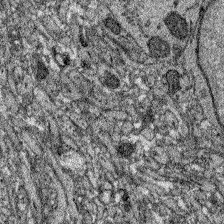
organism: Zebrafish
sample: Larval olfactory bulb